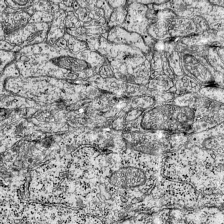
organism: Mouse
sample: Visual Cortex